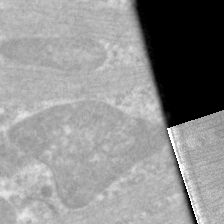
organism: C. elegans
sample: Pharynx